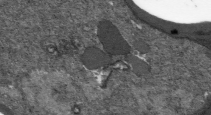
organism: Plasmodium falciparum